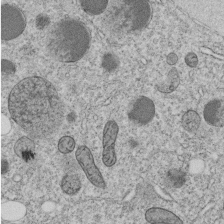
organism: C. elegans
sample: C. elegans embryo early stage